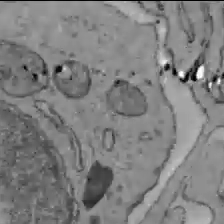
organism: C57BL Mouse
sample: Liver